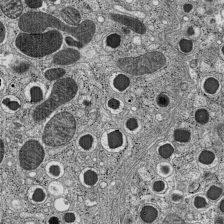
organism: C57BL Mouse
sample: Pancreatic islet